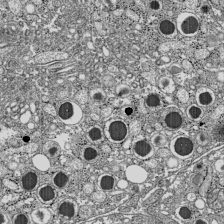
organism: C57BL Mouse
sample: Pancreatic islet